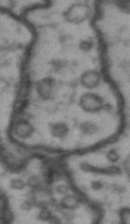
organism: Drosophila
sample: Brain